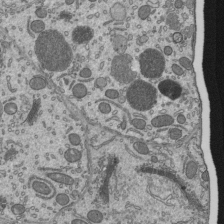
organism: Mouse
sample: Mouse epididymis efferent ductule cilia